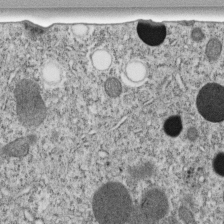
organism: C. elegans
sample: C. elegans embryo early stage